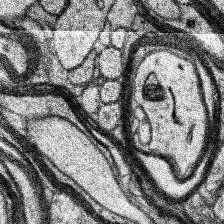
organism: Human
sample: Temporal Lobe